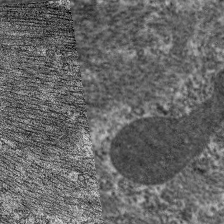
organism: C. elegans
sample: Pharynx